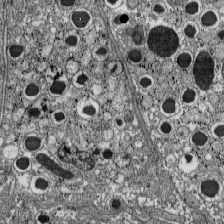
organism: C57BL Mouse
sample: Pancreatic islet